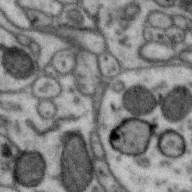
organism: Zebra finch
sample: Brain